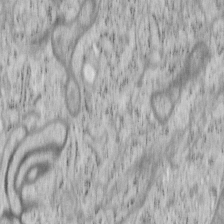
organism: Human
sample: HeLa cells